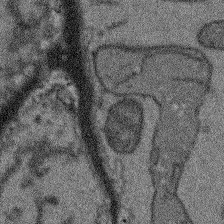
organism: Arabidopsis thaliana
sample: Root tip